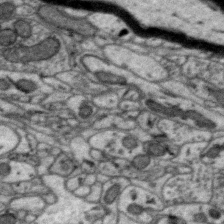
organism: Zebra finch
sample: Brain